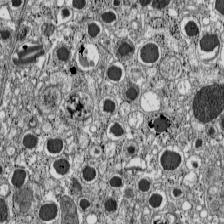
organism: C57BL Mouse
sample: Pancreatic islet